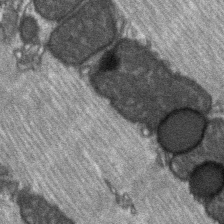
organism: C57BL Mouse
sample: Soleus